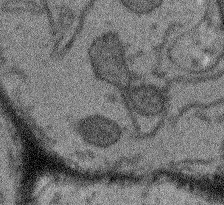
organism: Arabidopsis thaliana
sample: Root tip